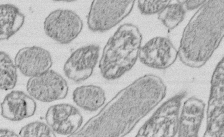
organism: E. coli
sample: Bacterial nucleoid